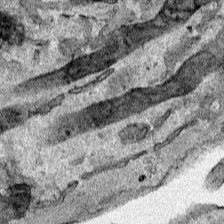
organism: Human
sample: Mitochondria in HCT116 cells